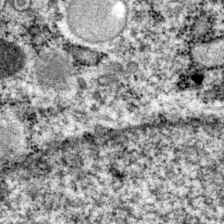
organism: P. pacificus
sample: Pharynx